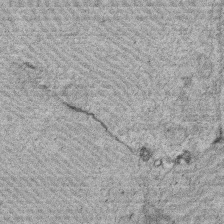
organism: Rat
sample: Salivary granule